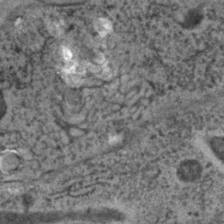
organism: C. elegans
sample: C. elegans embryo